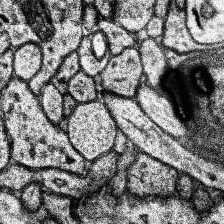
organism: Human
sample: Temporal Lobe